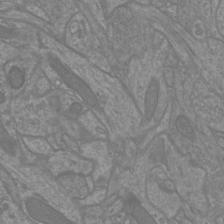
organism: Mouse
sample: Cortical neurons